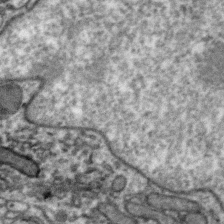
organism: Zebra finch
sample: Brain